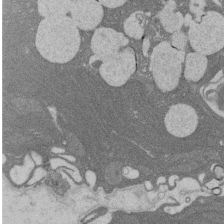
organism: Rat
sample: Salivary granule